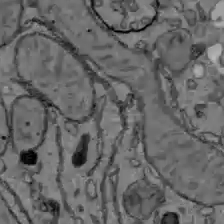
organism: C57BL Mouse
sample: Liver